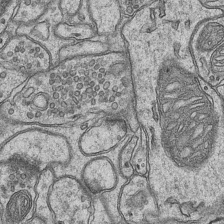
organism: Mouse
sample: CA1 Hippocampus